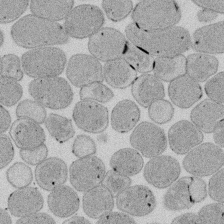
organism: E. coli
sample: Bacterial nucleoid